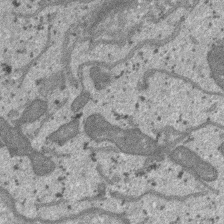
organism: Human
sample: Lung epithelial cells infected with SARS-CoV-2